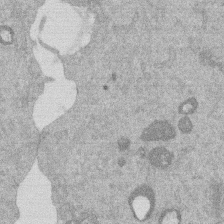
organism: Mouse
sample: Dividing mouse embryo 1 cell stage